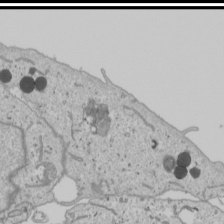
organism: Human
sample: Mitochondria in U2OS cells